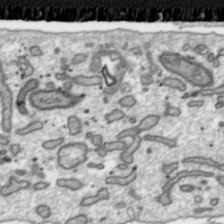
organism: Toxoplasma gondii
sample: Parasites in a vacuole inside a host cell